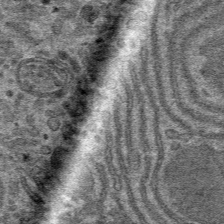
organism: Mouse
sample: Mouse hepatocytes